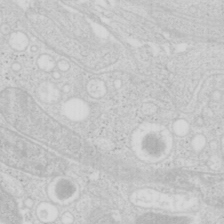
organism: Mouse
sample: Pancreas